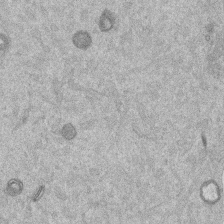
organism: Mouse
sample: Dividing mouse embryo 1 cell stage